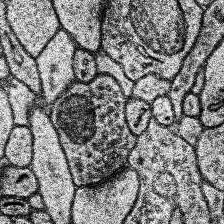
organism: Human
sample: Temporal Lobe